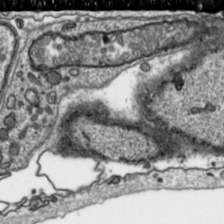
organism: Toxoplasma gondii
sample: Parasites in a vacuole inside a host cell